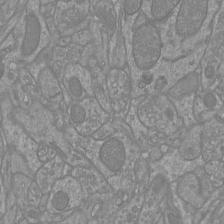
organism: Mouse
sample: Cortical neurons